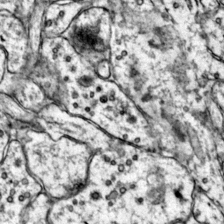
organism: Mouse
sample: Primary visual cortex